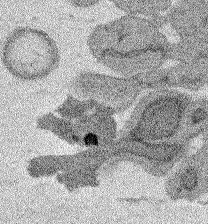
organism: Human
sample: HeLa cells